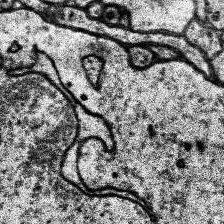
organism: Human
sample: Temporal Lobe